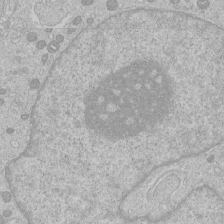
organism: Human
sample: Macrophage cells